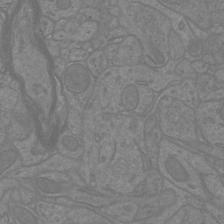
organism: Mouse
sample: Cortical neurons